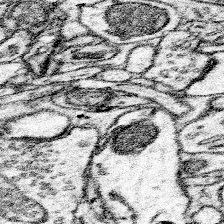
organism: Mouse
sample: Somatosensory cortex neuropil